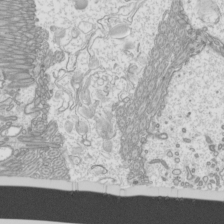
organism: Mouse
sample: Cilia; mouse epididymis